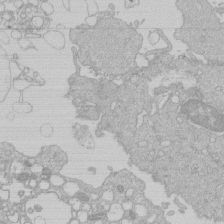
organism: Human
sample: Macrophage cells